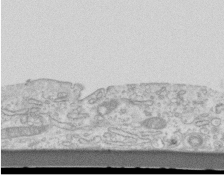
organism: Mouse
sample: Centriole in ependymal cells